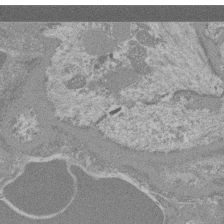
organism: Mouse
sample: Glomerulus